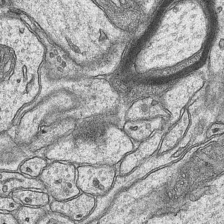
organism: Mouse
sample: CA1 Hippocampus